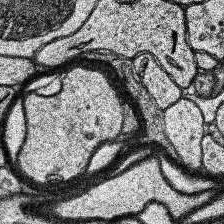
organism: Human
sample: Temporal Lobe